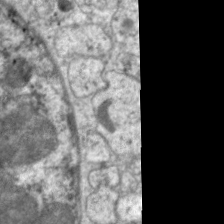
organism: C. elegans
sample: Pharynx